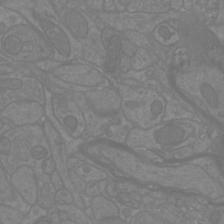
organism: Mouse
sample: Cortical neurons